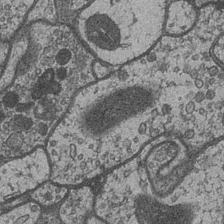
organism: Drosophila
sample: Optic medulla